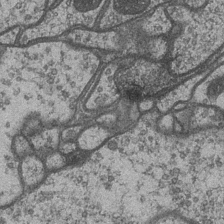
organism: Drosophila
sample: Optic medulla